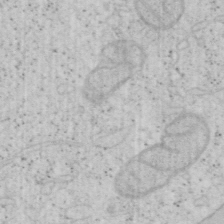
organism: Human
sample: HeLa cells